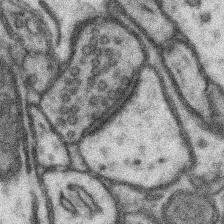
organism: Mouse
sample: Somatosensory cortex neuropil